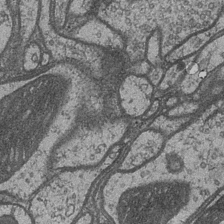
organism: Drosophila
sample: Optic medulla